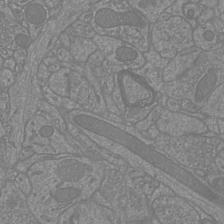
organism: Mouse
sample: Cortical neurons